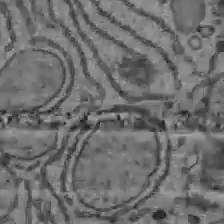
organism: C57BL Mouse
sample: Liver